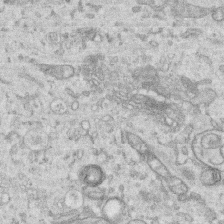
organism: Human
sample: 1205lu cells